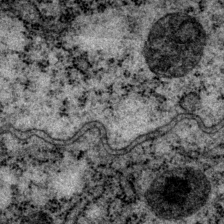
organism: P. pacificus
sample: Pharynx